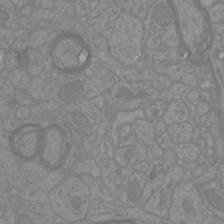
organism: Mouse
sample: Cortical neurons